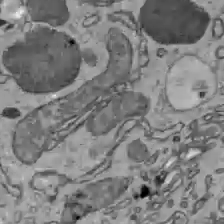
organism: C57BL Mouse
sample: Liver